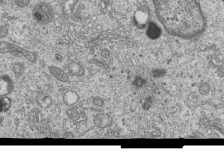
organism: Human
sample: MDA-MB-231 cells